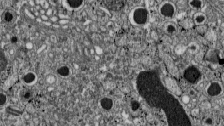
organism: C57BL Mouse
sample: Pancreatic islet